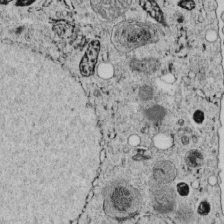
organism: C. elegans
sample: C. elegans embryo early stage